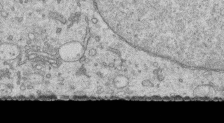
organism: Human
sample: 1205lu cells